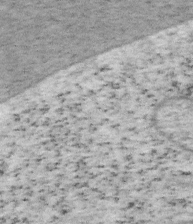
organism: Mouse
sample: OT-I killer T cells with ID8 ovarian cancer cells